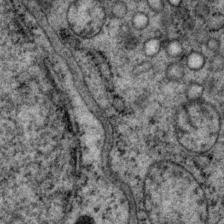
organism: P. pacificus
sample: Pharynx